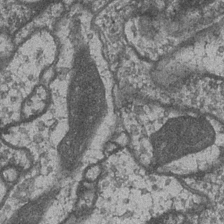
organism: Drosophila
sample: Optic medulla